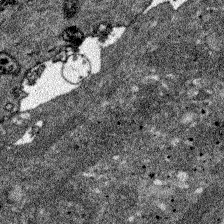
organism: Zebrafish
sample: Larval olfactory bulb